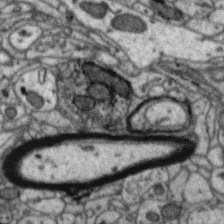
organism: Zebra finch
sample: Brain